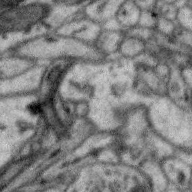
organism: Zebra finch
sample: Brain